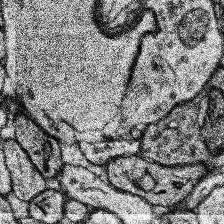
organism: Human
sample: Temporal Lobe